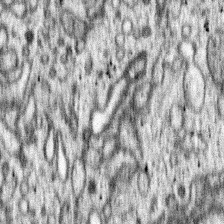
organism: Human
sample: HeLa cells